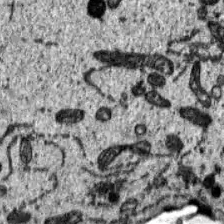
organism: Human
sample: HeLa cells